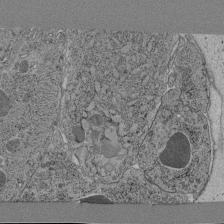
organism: C. elegans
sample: C. elegans pharynx